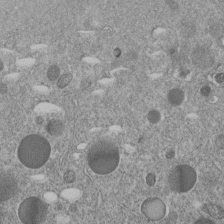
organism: C. elegans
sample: C. elegans embryo early stage